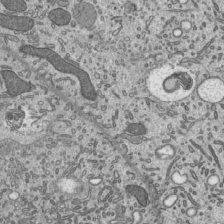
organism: Mouse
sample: Mouse epididymis efferent ductule cilia